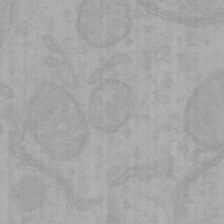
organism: Mouse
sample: Choroid plexus